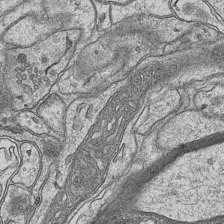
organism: Mouse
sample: CA1 Hippocampus